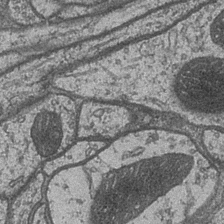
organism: Drosophila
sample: Optic medulla